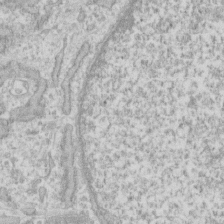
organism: Human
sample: Fibroblast cells